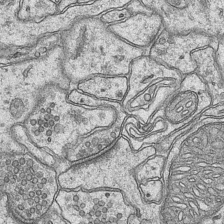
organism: Mouse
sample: CA1 Hippocampus